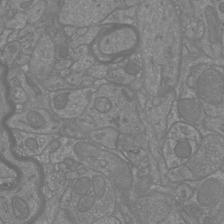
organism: Mouse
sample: Cortical neurons